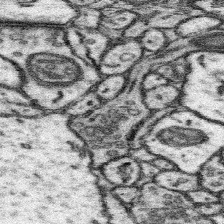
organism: Mouse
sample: Somatosensory cortex neuropil